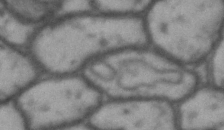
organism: Drosophila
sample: Brain